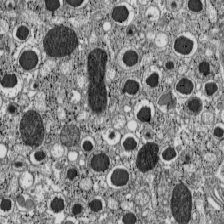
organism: C57BL Mouse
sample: Pancreatic islet